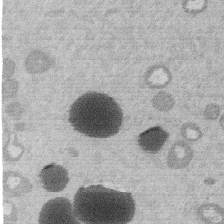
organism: Mouse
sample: Dividing mouse embryo 1 cell stage